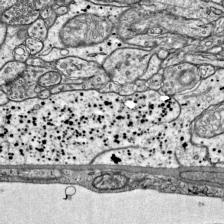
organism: Mouse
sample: Visual Cortex